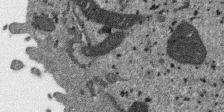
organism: Human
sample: Lung epithelial cells infected with SARS-CoV-2